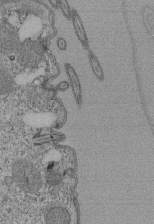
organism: Tetrahymena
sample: Cilia in tetrahymena